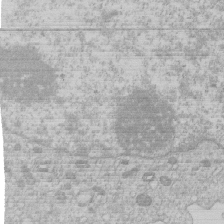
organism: Human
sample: Macrophage cells